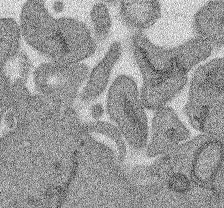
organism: Human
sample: HeLa cells